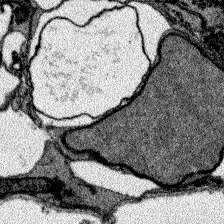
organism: Zebrafish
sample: Larval olfactory bulb